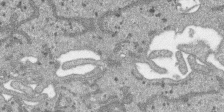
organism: Human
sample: Lung epithelial cells infected with SARS-CoV-2